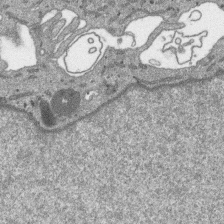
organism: Human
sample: Lung epithelial cells infected with SARS-CoV-2